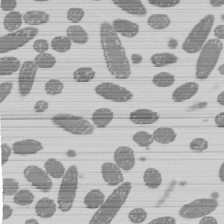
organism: E. coli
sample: Bacterial nucleoid